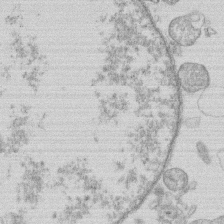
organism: Human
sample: Macrophage cells